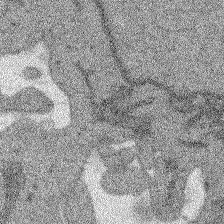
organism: Human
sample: HeLa cells